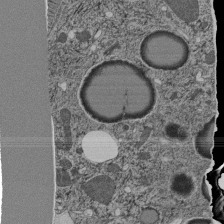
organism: C. elegans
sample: C. elegans pharynx